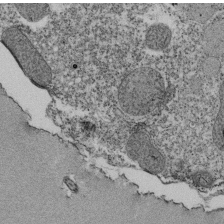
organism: Tetrahymena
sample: Cilia in tetrahymena